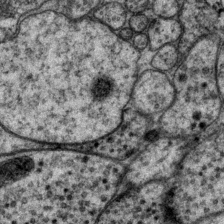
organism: P. pacificus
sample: Pharynx